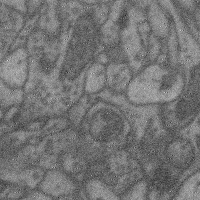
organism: Mouse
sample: Cerebral cortex